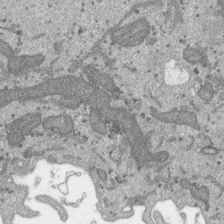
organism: Human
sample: Lung epithelial cells infected with SARS-CoV-2